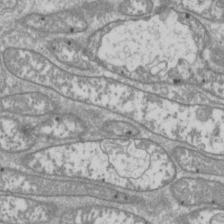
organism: Drosophila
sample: Cell division; meiosis; drosophila spermatocytes